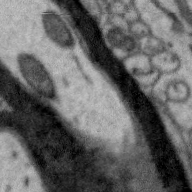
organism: Zebra finch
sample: Brain